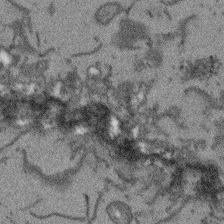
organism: Arabidopsis thaliana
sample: Root tip